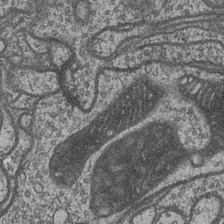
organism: Drosophila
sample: Optic medulla